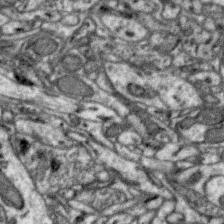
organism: Zebra finch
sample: Brain